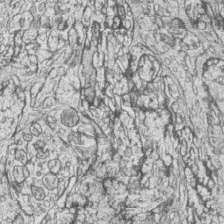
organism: Zebrafish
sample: synaptic ribbons in rod cells and cone cells